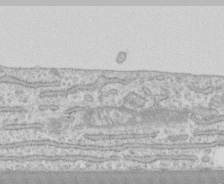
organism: Human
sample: CRL-1474